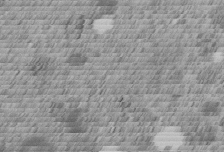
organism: C. elegans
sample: C. elegans embryo early stage